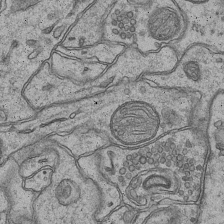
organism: Mouse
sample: CA1 Hippocampus